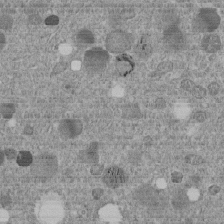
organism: C. elegans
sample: C. elegans embryo early stage